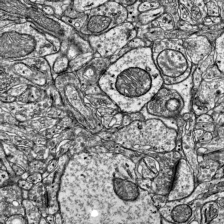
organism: Mouse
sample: Visual Cortex